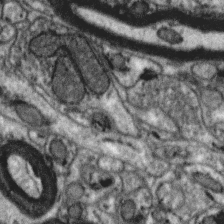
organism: Zebra finch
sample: Brain